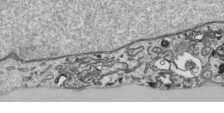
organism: Human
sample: Mitochondria in HCT116 cells